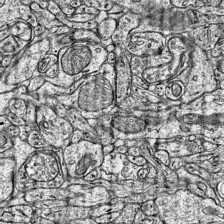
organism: Mouse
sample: Visual Cortex